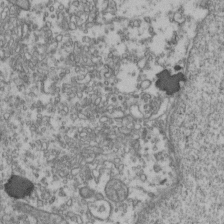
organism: Human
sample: Activated Jurkat CD4+ T cells